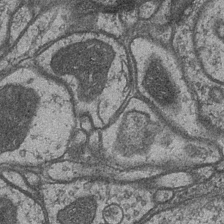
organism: Drosophila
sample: Optic medulla